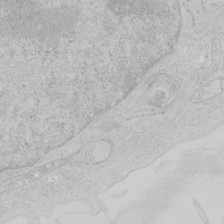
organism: Human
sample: Mitochondria in HCT116 cells